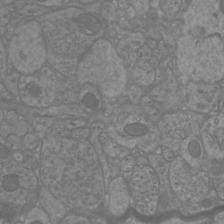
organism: Mouse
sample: Cortical neurons